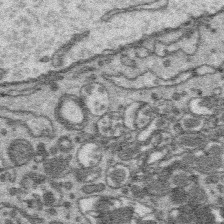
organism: Platynereis dumerilii